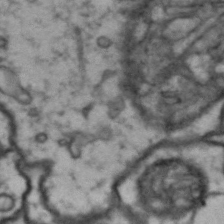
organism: Drosophila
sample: Brain